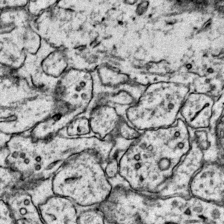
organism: Mouse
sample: Primary visual cortex